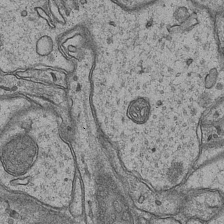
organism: Mouse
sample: CA1 Hippocampus